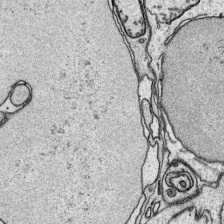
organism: Platynereis dumerilii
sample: Parapodia